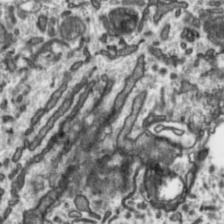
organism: Toxoplasma gondii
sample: Parasites in a vacuole inside a host cell